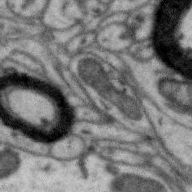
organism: Zebra finch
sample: Brain